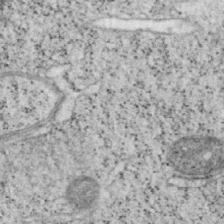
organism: Mouse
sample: OT-I killer T cells with ID8 ovarian cancer cells